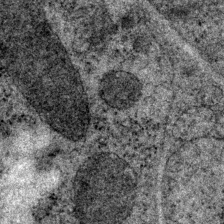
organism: P. pacificus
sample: Pharynx